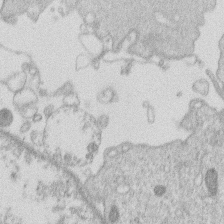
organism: Human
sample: Macrophage cells